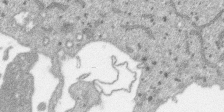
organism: Human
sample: Lung epithelial cells infected with SARS-CoV-2